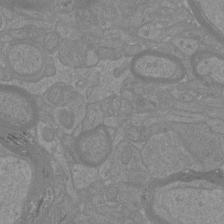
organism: Mouse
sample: Cortical neurons